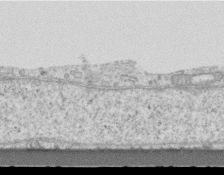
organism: Mouse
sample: Centriole in ependymal cells